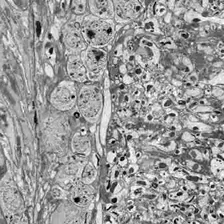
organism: Drosophila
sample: Optic lobe